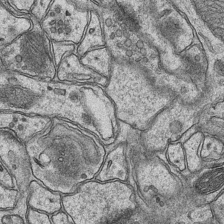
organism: Mouse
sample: CA1 Hippocampus